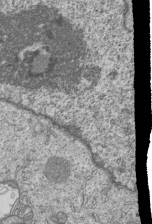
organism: Human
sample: MDA-MB-231 cells